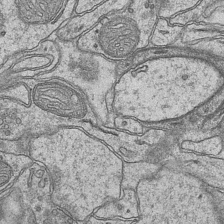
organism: Mouse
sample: CA1 Hippocampus